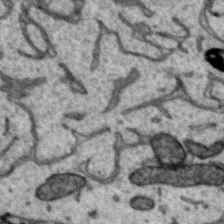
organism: Zebra finch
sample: Brain